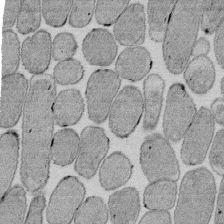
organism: E. coli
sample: Bacterial nucleoid